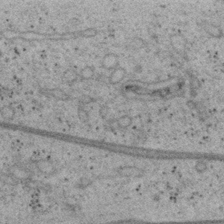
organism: Human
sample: HeLa cells